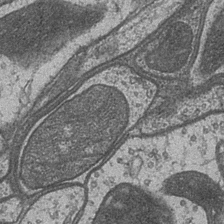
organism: Drosophila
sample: Optic medulla